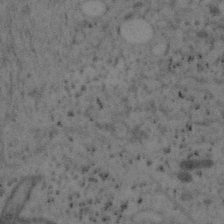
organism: Human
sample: HeLa cells